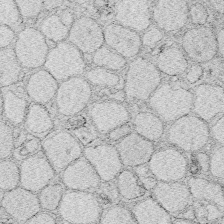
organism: Zebrafish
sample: Whole-Brain